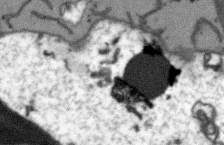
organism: Arabidopsis thaliana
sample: Root tip